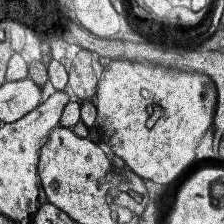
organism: Human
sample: Temporal Lobe